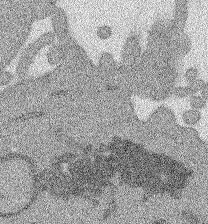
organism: Human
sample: HeLa cells